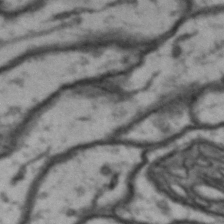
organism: Drosophila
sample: Brain